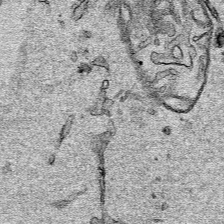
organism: Human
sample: Mitochondria in HCT116 cells